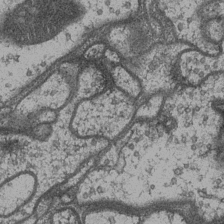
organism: Drosophila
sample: Optic medulla